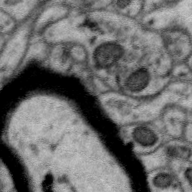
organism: Zebra finch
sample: Brain